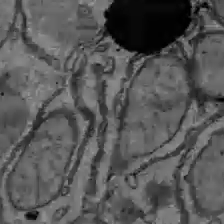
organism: C57BL Mouse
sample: Liver